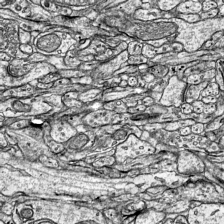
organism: Mouse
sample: Visual Cortex